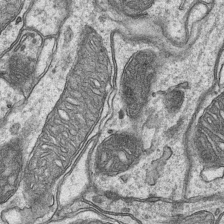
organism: Mouse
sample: CA1 Hippocampus